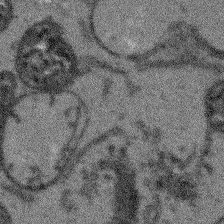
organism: Arabidopsis thaliana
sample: Root tip